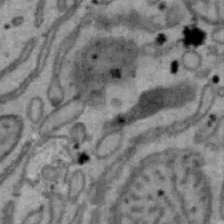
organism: Mouse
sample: Liver